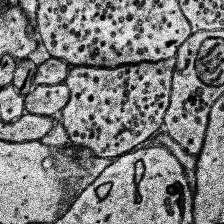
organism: Human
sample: Temporal Lobe